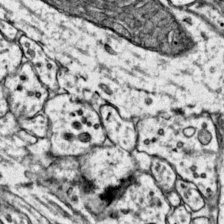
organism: Mouse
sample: Primary visual cortex